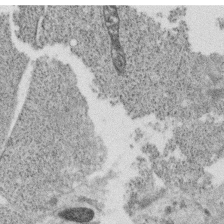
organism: C. elegans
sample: C. elegans oocyte; sperm cells